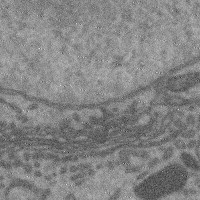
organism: Mouse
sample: Cerebral cortex